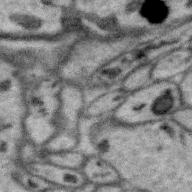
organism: Zebra finch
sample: Brain